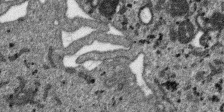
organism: Human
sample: Lung epithelial cells infected with SARS-CoV-2